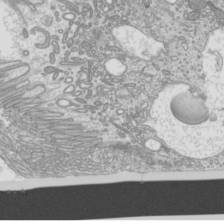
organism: Mouse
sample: Cilia; mouse epididymis